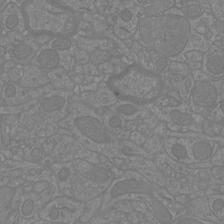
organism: Mouse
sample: Cortical neurons